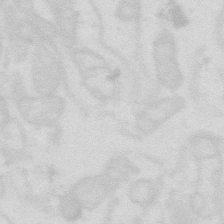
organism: Human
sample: HeLa cells